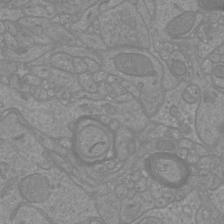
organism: Mouse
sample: Cortical neurons